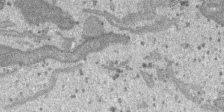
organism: Human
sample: Lung epithelial cells infected with SARS-CoV-2